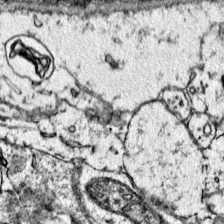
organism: Mouse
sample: Primary visual cortex